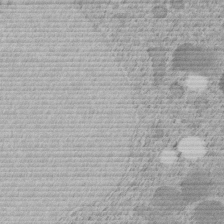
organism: C. elegans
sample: C. elegans embryo early stage